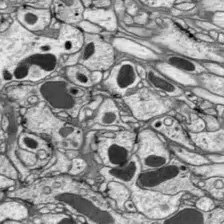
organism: Drosophila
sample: Optic lobe